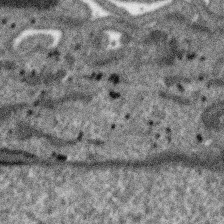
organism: Human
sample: Lung epithelial cells infected with SARS-CoV-2